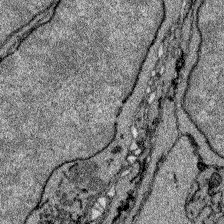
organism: Zebrafish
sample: Larval olfactory bulb